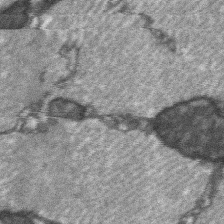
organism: C57BL Mouse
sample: Soleus